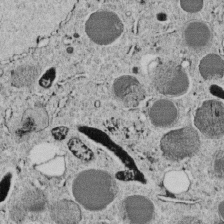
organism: C. elegans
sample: C. elegans embryo early stage